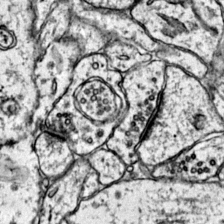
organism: Mouse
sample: Primary visual cortex